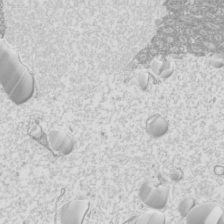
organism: Mouse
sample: Cilia; mouse epididymis